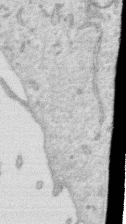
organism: Human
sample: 1205lu cells